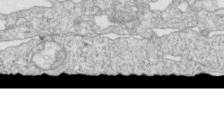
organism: Human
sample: HeLa cell HIV synapse